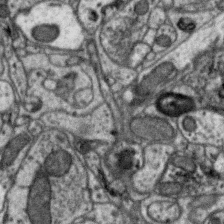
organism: Zebra finch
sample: Brain